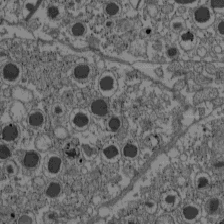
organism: C57BL Mouse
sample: Pancreatic islet